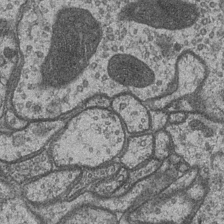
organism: Drosophila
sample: Optic medulla